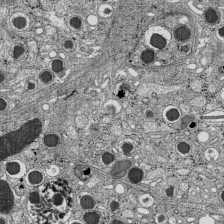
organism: C57BL Mouse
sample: Pancreatic islet